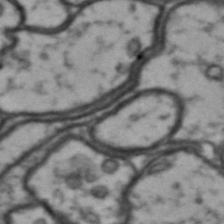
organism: Drosophila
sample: Brain